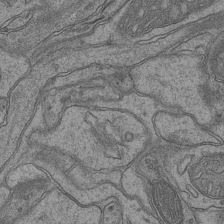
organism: Mouse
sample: CA1 Hippocampus